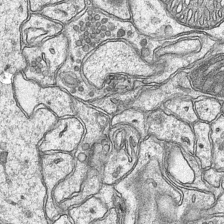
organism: Mouse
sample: CA1 Hippocampus